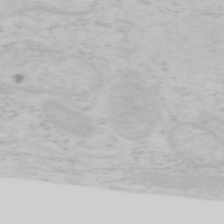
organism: Mouse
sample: OT-I killer T cells with ID8 ovarian cancer cells